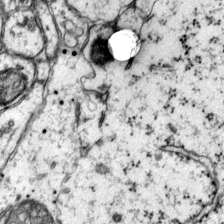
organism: Mouse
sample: Primary visual cortex